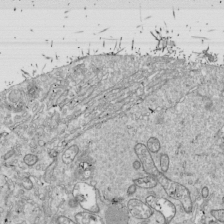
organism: Drosophila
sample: Cell division; meiosis; drosophila spermatocytes